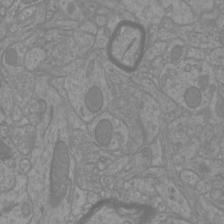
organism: Mouse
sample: Cortical neurons